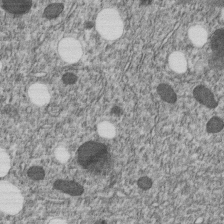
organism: C. elegans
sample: C. elegans embryo early stage